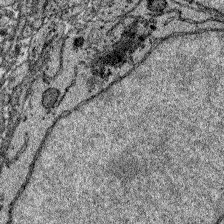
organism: Zebrafish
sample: Larval olfactory bulb